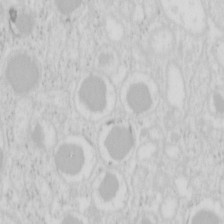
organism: Mouse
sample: Pancreas